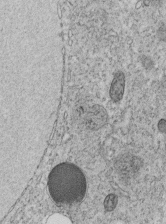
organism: C. elegans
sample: C. elegans embryo early stage